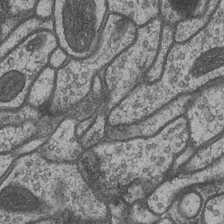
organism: Drosophila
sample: Optic medulla